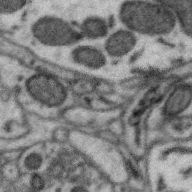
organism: Zebra finch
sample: Brain